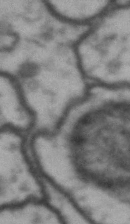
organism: Drosophila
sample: Brain